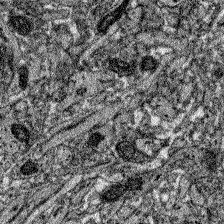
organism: Zebrafish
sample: Larval olfactory bulb